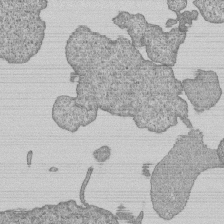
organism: Human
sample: MDA-MB-231 cells